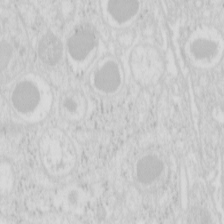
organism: Mouse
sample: Pancreas